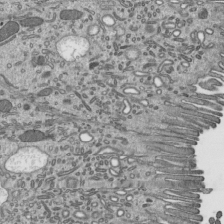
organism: Mouse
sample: Mouse epididymis efferent ductule cilia